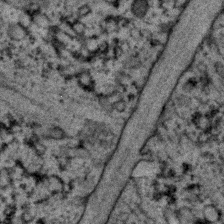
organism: C. elegans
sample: C. elegans embryo